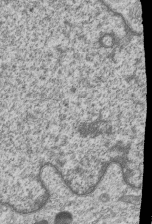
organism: Human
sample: MDA-MB-231 cells